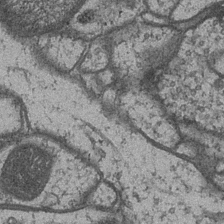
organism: Drosophila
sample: Optic medulla